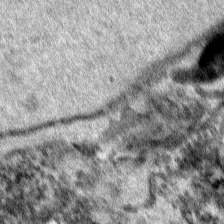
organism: Human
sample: Mitochondria in HCT116 cells